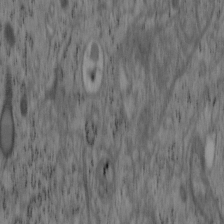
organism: Human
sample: HeLa cells